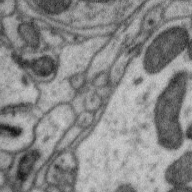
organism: Zebra finch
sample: Brain